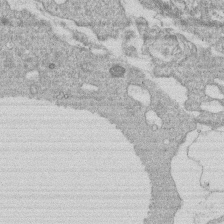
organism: Human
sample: Macrophage cells